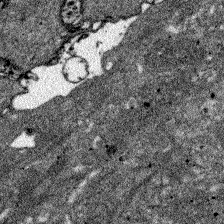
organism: Zebrafish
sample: Larval olfactory bulb